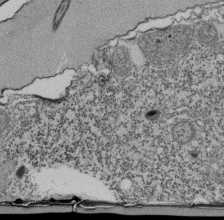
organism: Tetrahymena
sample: Cilia in tetrahymena